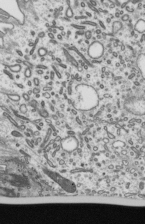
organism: Mouse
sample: Mouse epididymis efferent ductule cilia